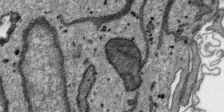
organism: Human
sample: Lung epithelial cells, uninfected (mock) control